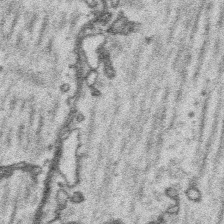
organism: Platynereis dumerilii